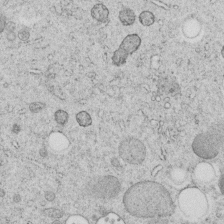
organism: C. elegans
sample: C. elegans embryo early stage